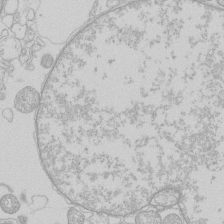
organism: Human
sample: Macrophage cells